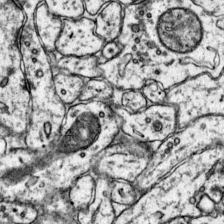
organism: Mouse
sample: Primary visual cortex